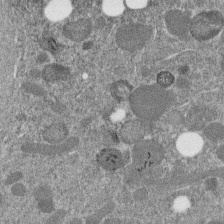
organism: C. elegans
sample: C. elegans embryo early stage